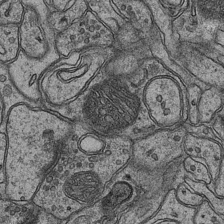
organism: Mouse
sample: CA1 Hippocampus